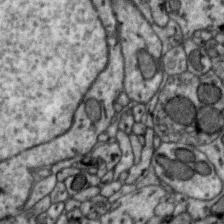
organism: Zebra finch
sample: Brain